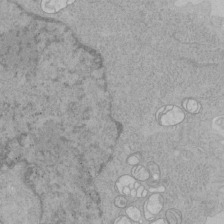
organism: Human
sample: Mitochondria in HCT116 cells